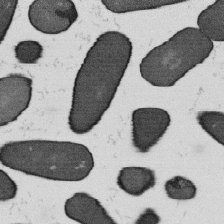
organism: B. subtilis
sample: Bacterial spore